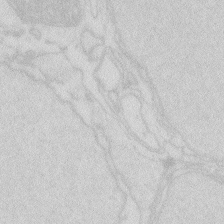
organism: Zebrafish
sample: Macrophage